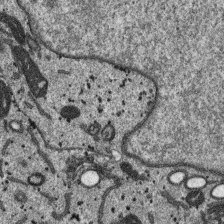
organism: Human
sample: Lung epithelial cells infected with SARS-CoV-2